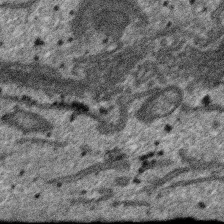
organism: Human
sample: Lung epithelial cells infected with SARS-CoV-2